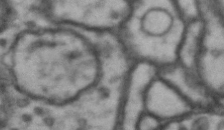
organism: Drosophila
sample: Brain